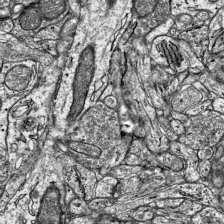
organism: Mouse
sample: Visual Cortex